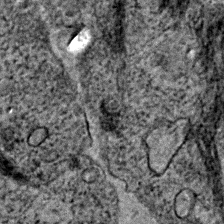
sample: Trachea